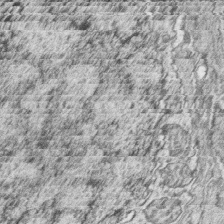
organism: Zebrafish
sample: synaptic ribbons in rod cells and cone cells